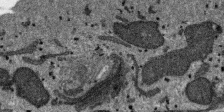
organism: Human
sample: Lung epithelial cells, uninfected (mock) control